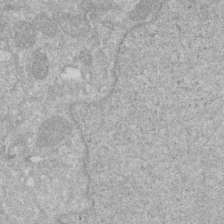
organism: Human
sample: HIV infected U937 cells